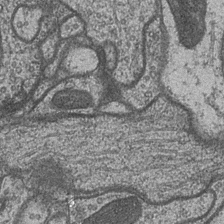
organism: Drosophila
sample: Optic medulla